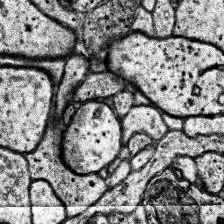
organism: Human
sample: Temporal Lobe